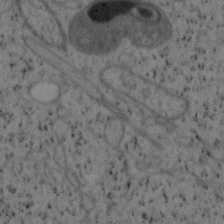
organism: Human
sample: HeLa cells